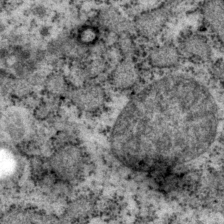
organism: P. pacificus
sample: Pharynx